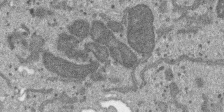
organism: Human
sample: Lung epithelial cells infected with SARS-CoV-2